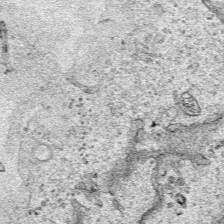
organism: Human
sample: Mitochondria in HCT116 cells